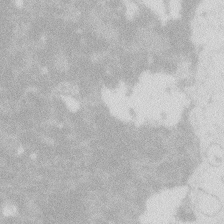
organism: Zebrafish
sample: Macrophage